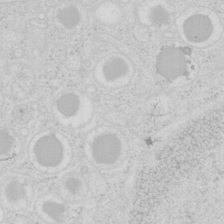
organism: Mouse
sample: Pancreas